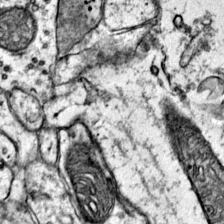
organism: Mouse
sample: Primary visual cortex